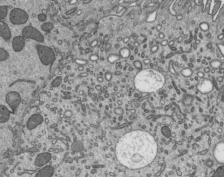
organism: Mouse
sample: Mouse epididymis efferent ductule cilia